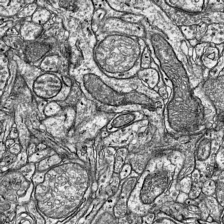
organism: Mouse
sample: Visual Cortex